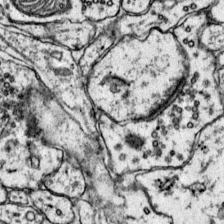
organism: Mouse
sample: Primary visual cortex